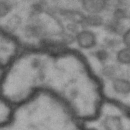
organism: Drosophila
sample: Brain